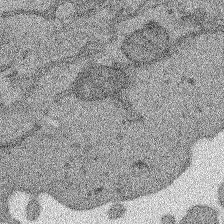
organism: Human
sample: HeLa cells